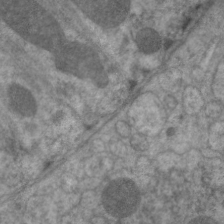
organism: C. elegans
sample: Pharynx